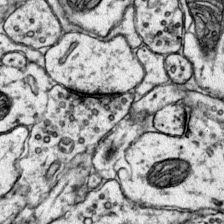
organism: Mouse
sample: Primary visual cortex